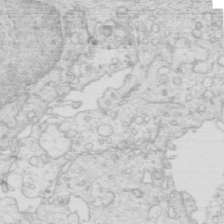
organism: Mouse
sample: Multiciliated cells